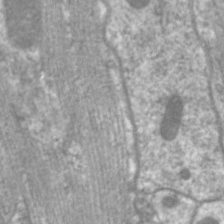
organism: C. elegans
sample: Pharynx